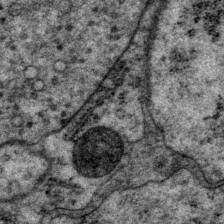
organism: P. pacificus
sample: Pharynx